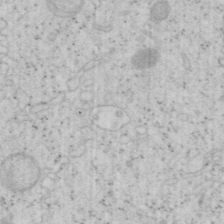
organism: Human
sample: HeLa cells